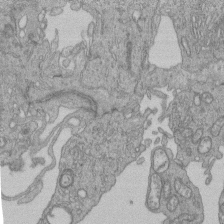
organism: Human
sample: Retinal organoid Rod and Cone cells